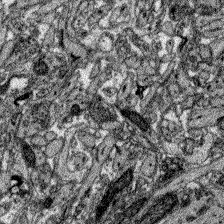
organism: Zebrafish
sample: Larval olfactory bulb